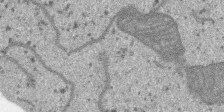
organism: Human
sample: Lung epithelial cells infected with SARS-CoV-2